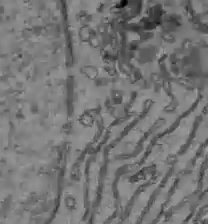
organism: C57BL Mouse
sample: Liver